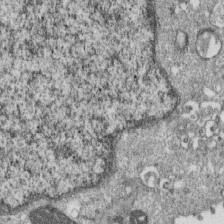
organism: African green monkey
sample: Vero E6 cells infected with SARS-CoV-2